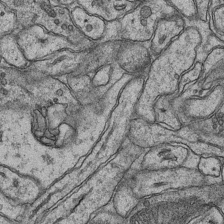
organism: Mouse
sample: CA1 Hippocampus